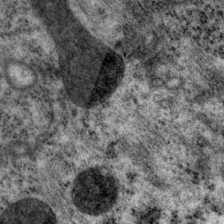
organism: P. pacificus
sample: Pharynx